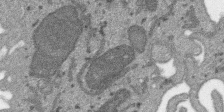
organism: Human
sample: Lung epithelial cells infected with SARS-CoV-2